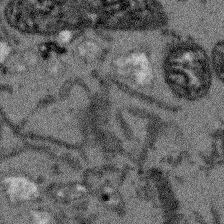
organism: Arabidopsis thaliana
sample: Root tip